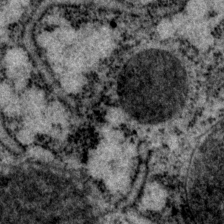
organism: P. pacificus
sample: Pharynx